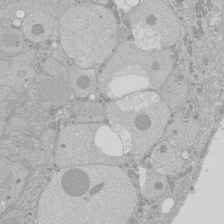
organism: Human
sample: Caco-2 cells